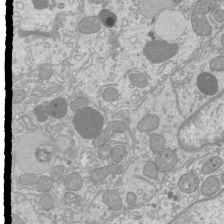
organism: Mouse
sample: Cilia; mouse epididymis